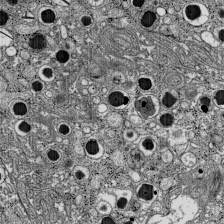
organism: C57BL Mouse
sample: Pancreatic islet